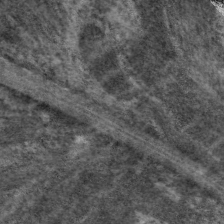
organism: C. elegans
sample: Pharynx